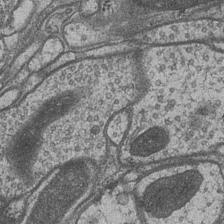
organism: Drosophila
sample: Optic medulla